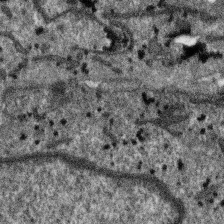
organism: Human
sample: Lung epithelial cells infected with SARS-CoV-2